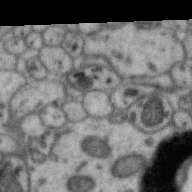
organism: Zebra finch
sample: Brain